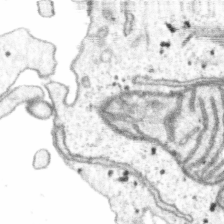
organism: Human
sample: HeLa cells